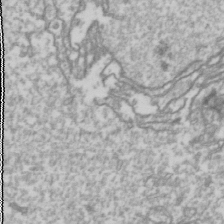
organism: Drosophila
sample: Cell division; meiosis; drosophila spermatocytes